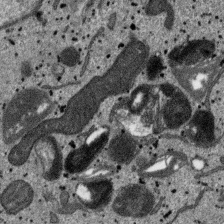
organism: Human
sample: Lung epithelial cells, uninfected (mock) control